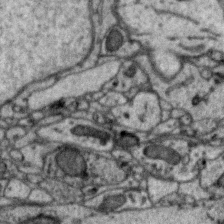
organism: Zebra finch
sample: Brain